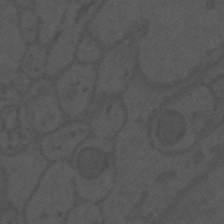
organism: Mouse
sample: Suprachiasmatic nucleus